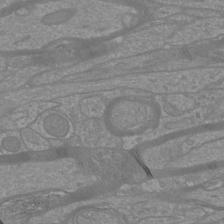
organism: Mouse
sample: Cortical neurons